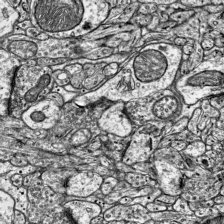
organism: Mouse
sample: Visual Cortex